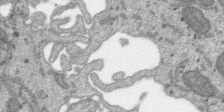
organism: Human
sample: Lung epithelial cells infected with SARS-CoV-2